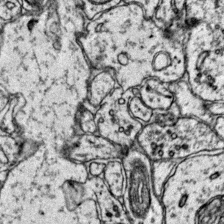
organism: Mouse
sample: Primary visual cortex